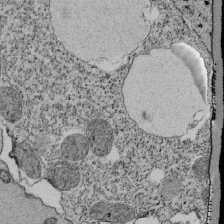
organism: Tetrahymena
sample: Cilia in tetrahymena